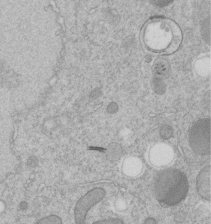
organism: C. elegans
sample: C. elegans embryo early stage